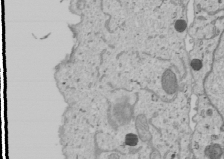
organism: Human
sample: Mitochondria in U2OS cells